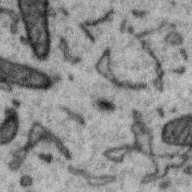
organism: Zebra finch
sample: Brain